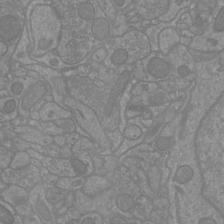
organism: Mouse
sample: Cortical neurons